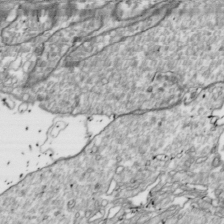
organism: Drosophila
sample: Cell division; meiosis; drosophila spermatocytes